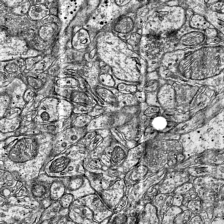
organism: Mouse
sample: Visual Cortex